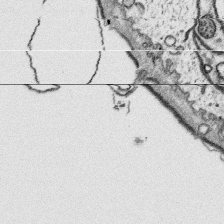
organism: Platynereis dumerilii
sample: Parapodia